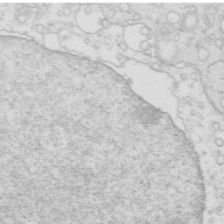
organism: Mouse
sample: Multiciliated cells